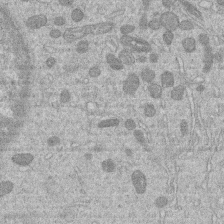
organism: Human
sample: Macrophage cells